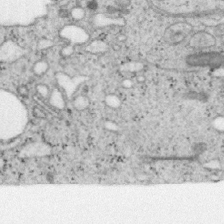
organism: Mouse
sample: OT-I killer T cells with ID8 ovarian cancer cells